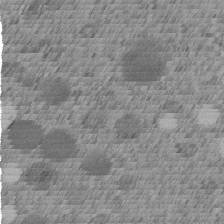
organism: C. elegans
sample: C. elegans embryo early stage